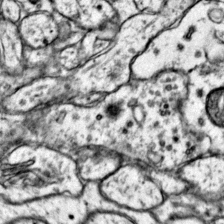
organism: Mouse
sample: Primary visual cortex